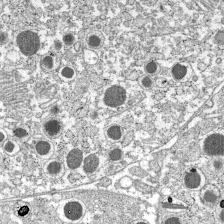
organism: C57BL Mouse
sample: Pancreatic islet